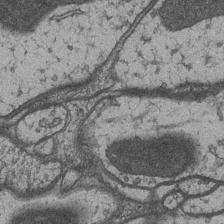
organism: Drosophila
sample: Optic medulla